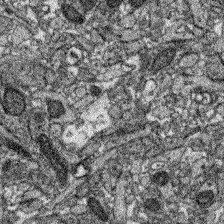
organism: Zebrafish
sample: Larval olfactory bulb